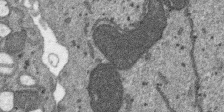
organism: Human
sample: Lung epithelial cells infected with SARS-CoV-2